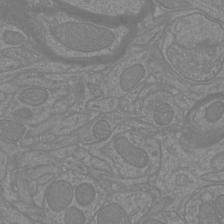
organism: Mouse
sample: Cortical neurons